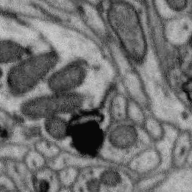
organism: Zebra finch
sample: Brain